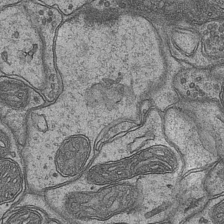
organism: Mouse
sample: CA1 Hippocampus